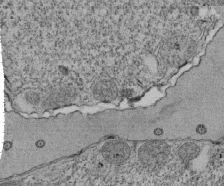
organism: Tetrahymena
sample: Cilia in tetrahymena